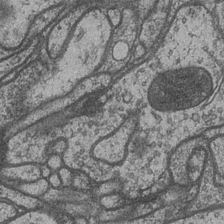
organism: Drosophila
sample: Optic medulla